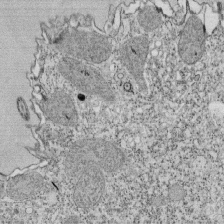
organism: Tetrahymena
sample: Cilia in tetrahymena